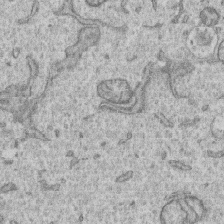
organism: Human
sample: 1205lu cells